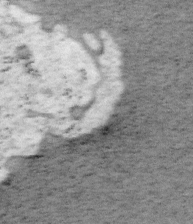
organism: Mouse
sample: OT-I killer T cells with ID8 ovarian cancer cells